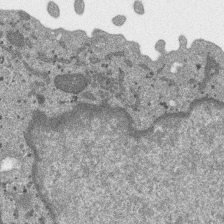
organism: Human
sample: Lung epithelial cells infected with SARS-CoV-2